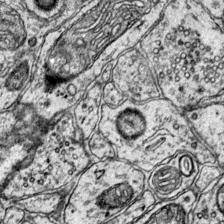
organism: Mouse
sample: Primary visual cortex